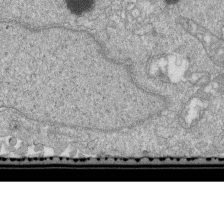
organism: Human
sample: HeLa cell HIV synapse